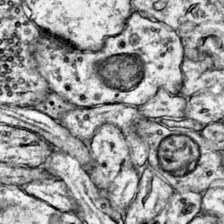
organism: Mouse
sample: Primary visual cortex